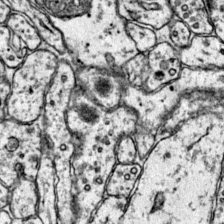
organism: Mouse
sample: Primary visual cortex